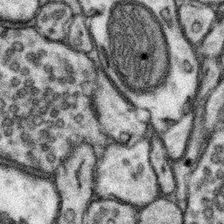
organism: Mouse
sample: Somatosensory cortex neuropil